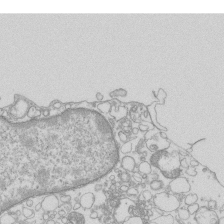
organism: Mouse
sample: Macrophages